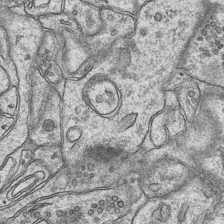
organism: Mouse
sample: CA1 Hippocampus